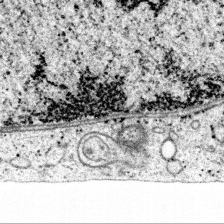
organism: Human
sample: HeLa cells